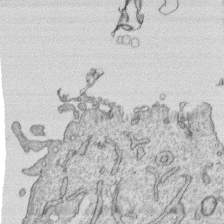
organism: Human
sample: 1205lu cells